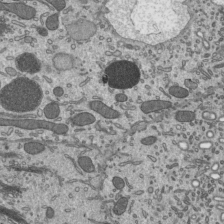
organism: Mouse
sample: Mouse epididymis efferent ductule cilia